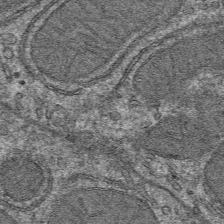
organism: Mouse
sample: Mouse hepatocytes